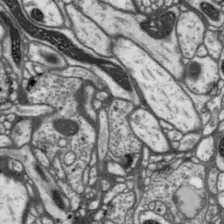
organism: Drosophila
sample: Protocerebral bridge